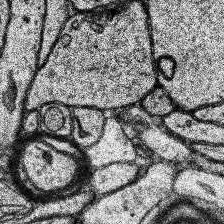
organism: Human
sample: Temporal Lobe